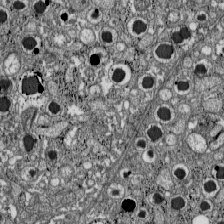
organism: C57BL Mouse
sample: Pancreatic islet